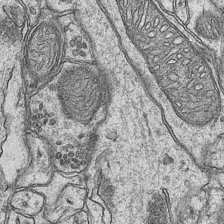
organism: Mouse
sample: CA1 Hippocampus